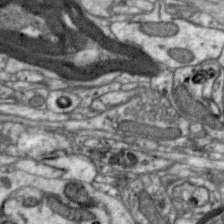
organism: Zebra finch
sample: Brain